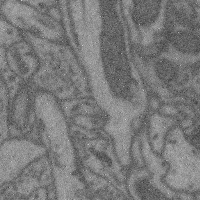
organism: Mouse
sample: Cerebral cortex